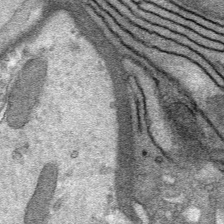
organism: Mouse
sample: Mouse Salivary gland